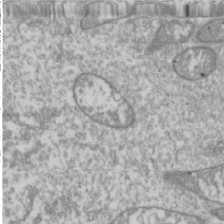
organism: Drosophila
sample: Cell division; meiosis; drosophila spermatocytes